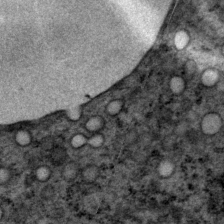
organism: P. pacificus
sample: Pharynx